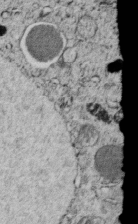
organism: C. elegans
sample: C. elegans embryo early stage